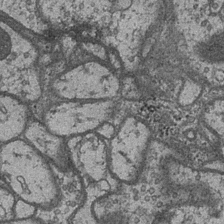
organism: Drosophila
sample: Optic medulla